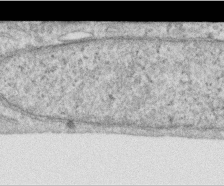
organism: Human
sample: Centriole in RPE cells